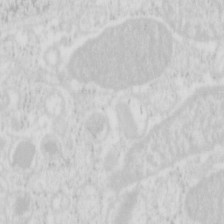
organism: Mouse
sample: Pancreas